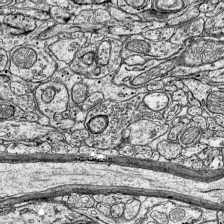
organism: Mouse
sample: Visual Cortex